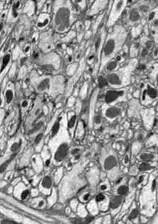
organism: Drosophila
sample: Optic lobe